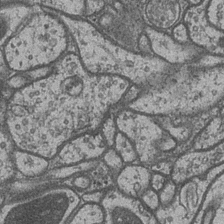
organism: Drosophila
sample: Optic medulla